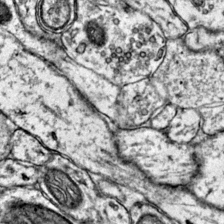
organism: Mouse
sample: Primary visual cortex